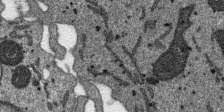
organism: Human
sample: Lung epithelial cells infected with SARS-CoV-2